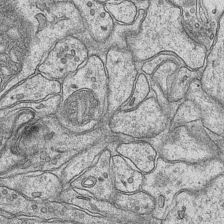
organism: Mouse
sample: CA1 Hippocampus